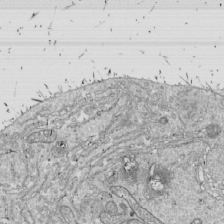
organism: Drosophila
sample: Cell division; meiosis; drosophila spermatocytes